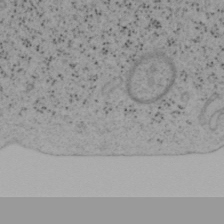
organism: Human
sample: HeLa cells